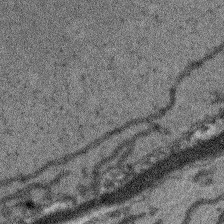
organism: Arabidopsis thaliana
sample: Root tip